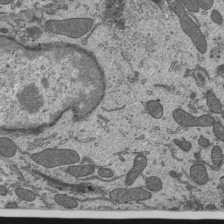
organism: Mouse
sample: Mouse epididymis efferent ductule cilia